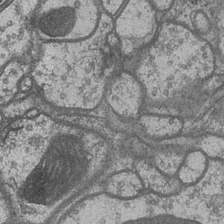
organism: Drosophila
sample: Optic medulla